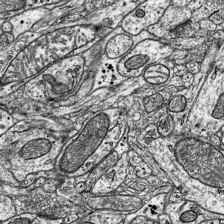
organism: Mouse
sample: Visual Cortex